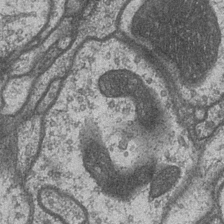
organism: Drosophila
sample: Optic medulla